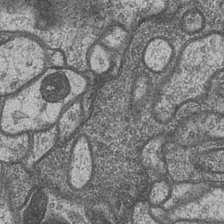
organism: Drosophila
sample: Optic medulla